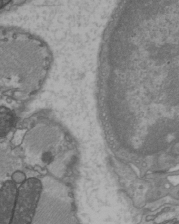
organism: C57BL Mouse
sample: Heart